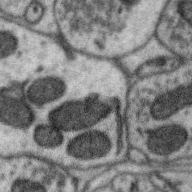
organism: Zebra finch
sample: Brain